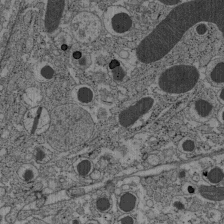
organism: C57BL Mouse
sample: Pancreatic islet